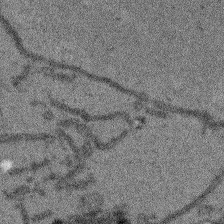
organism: Arabidopsis thaliana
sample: Root tip